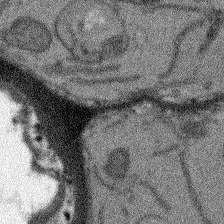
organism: Arabidopsis thaliana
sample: Root tip